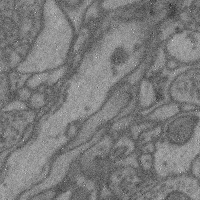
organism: Mouse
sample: Cerebral cortex